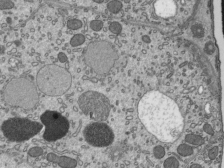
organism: Mouse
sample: Mouse epididymis efferent ductule cilia